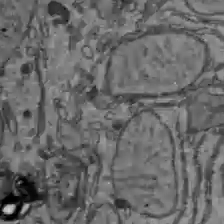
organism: C57BL Mouse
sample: Liver